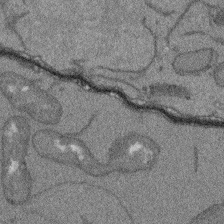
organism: Arabidopsis thaliana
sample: Root tip